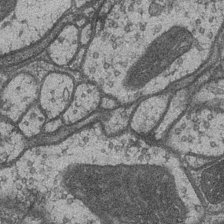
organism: Drosophila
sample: Optic medulla